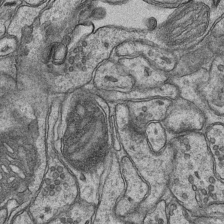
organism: Mouse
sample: CA1 Hippocampus